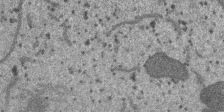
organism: Human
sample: Lung epithelial cells infected with SARS-CoV-2